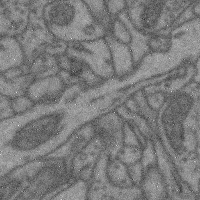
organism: Mouse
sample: Cerebral cortex